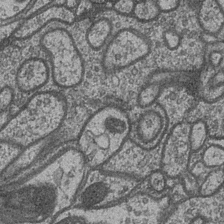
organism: Drosophila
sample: Optic medulla